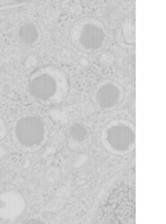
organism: Mouse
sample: Pancreas